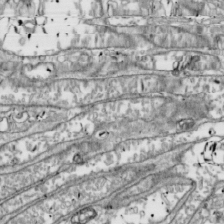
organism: Drosophila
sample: Cell division; meiosis; drosophila spermatocytes